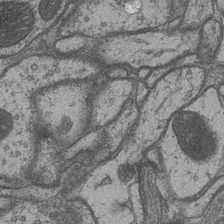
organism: Drosophila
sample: Optic medulla